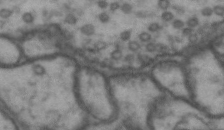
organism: Drosophila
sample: Brain